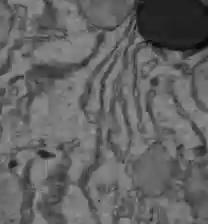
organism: C57BL Mouse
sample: Liver